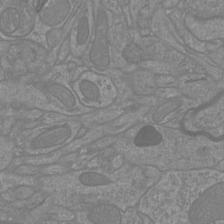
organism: Mouse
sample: Cortical neurons